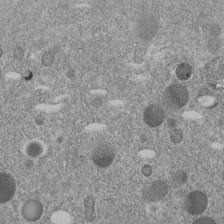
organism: C. elegans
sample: C. elegans embryo early stage